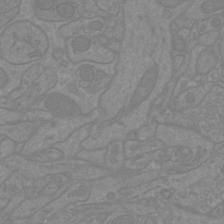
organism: Mouse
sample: Cortical neurons